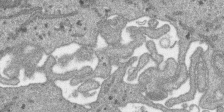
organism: Human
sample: Lung epithelial cells infected with SARS-CoV-2